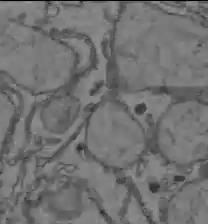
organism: C57BL Mouse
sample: Liver